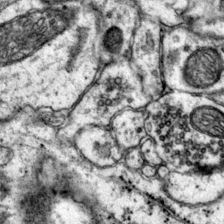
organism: Mouse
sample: Primary visual cortex